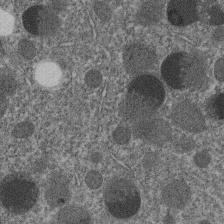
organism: C. elegans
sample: C. elegans embryo early stage